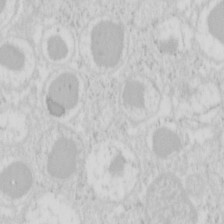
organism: Mouse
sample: Pancreas